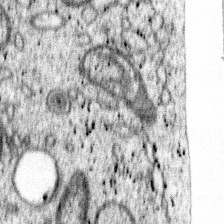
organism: Human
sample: HeLa cells